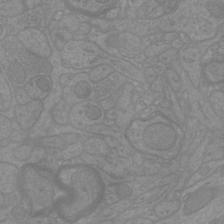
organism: Mouse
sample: Cortical neurons